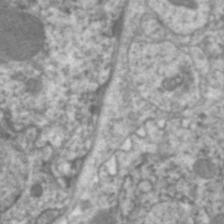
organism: C. elegans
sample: Pharynx